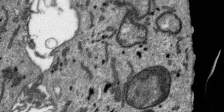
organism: Human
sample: Lung epithelial cells, uninfected (mock) control